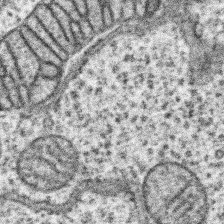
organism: Human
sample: HeLa cells